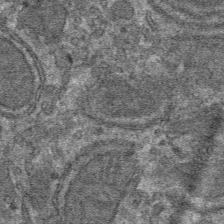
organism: Mouse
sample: Mouse hepatocytes